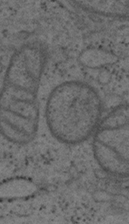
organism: Human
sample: HeLa cells